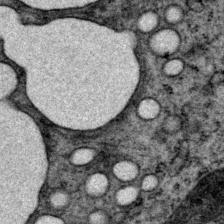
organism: P. pacificus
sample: Pharynx